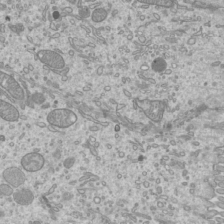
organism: Mouse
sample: Cilia; mouse epididymis